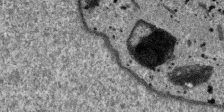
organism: Human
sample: Lung epithelial cells, uninfected (mock) control